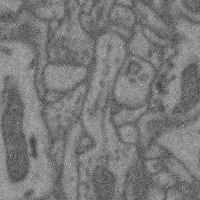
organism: Mouse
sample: Cerebral cortex